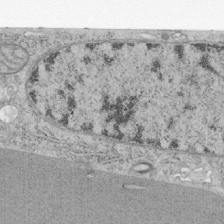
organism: Human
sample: HeLa cells